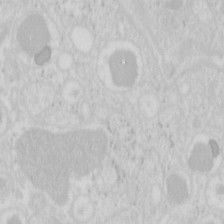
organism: Mouse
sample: Pancreas